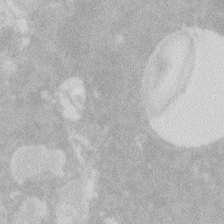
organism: Zebrafish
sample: Macrophage